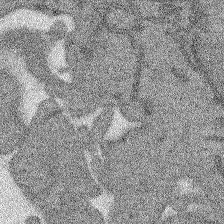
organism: Human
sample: HeLa cells